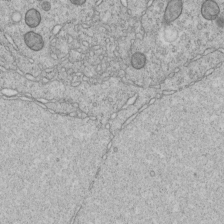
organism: C. elegans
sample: C. elegans embryo early stage